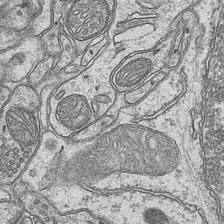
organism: Mouse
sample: CA1 Hippocampus